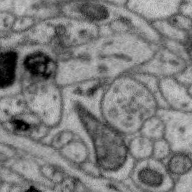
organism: Zebra finch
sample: Brain